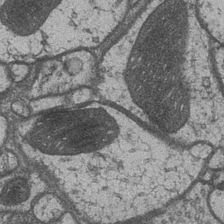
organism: Drosophila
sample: Optic medulla